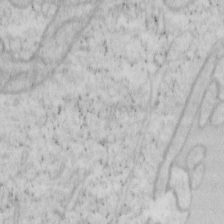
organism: Human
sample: HeLa cells